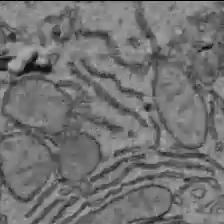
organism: C57BL Mouse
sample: Liver